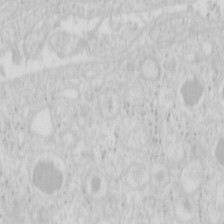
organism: Mouse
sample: Pancreas